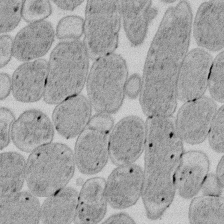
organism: E. coli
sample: Bacterial nucleoid